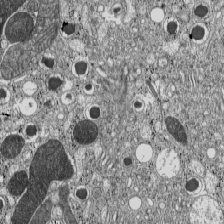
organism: C57BL Mouse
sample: Pancreatic islet